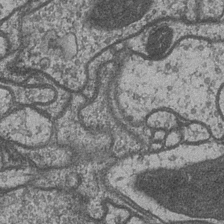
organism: Drosophila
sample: Optic medulla